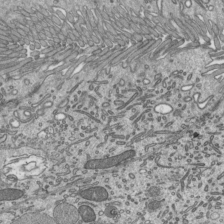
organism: Mouse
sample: Mouse epididymis efferent ductule cilia